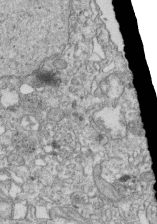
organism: Human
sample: HeLa cell HIV synapse